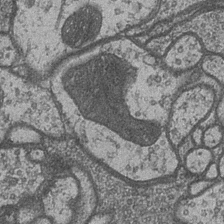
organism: Drosophila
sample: Optic medulla